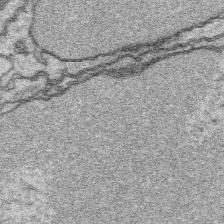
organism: Platynereis dumerilii